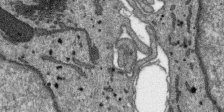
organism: Human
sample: Lung epithelial cells, uninfected (mock) control